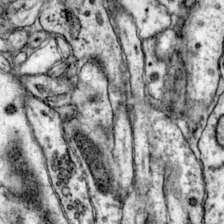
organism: Mouse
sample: Primary visual cortex